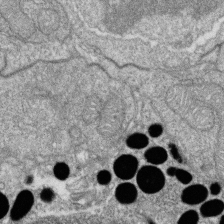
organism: Zebrafish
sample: Cilia; retinal pigment epithelium